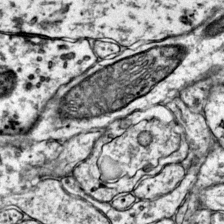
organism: Mouse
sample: Primary visual cortex